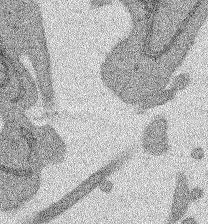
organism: Human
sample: HeLa cells